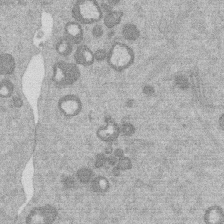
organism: Mouse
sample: Dividing mouse embryo 1 cell stage